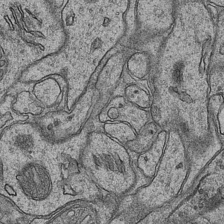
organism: Mouse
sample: CA1 Hippocampus